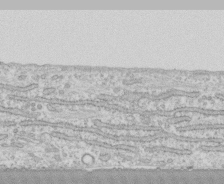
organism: Human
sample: CRL-1474